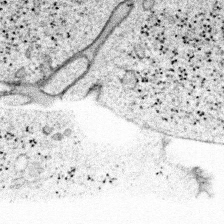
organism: Human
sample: HeLa cells